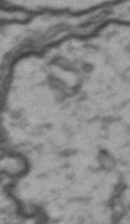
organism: Drosophila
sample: Brain